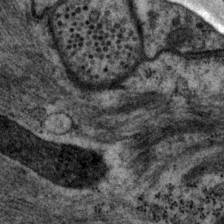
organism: P. pacificus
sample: Pharynx